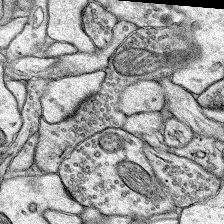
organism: Rat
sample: Hippocampus